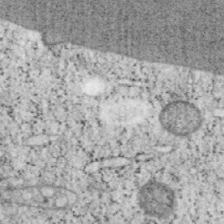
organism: Mouse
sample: OT-I killer T cells with ID8 ovarian cancer cells